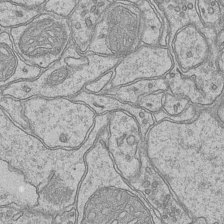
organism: Mouse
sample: CA1 Hippocampus